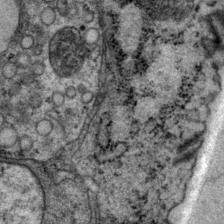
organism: P. pacificus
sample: Pharynx